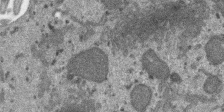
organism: Human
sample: Lung epithelial cells infected with SARS-CoV-2